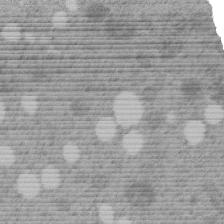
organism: C. elegans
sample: C. elegans embryo early stage